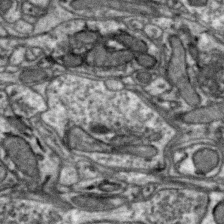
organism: Zebra finch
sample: Brain